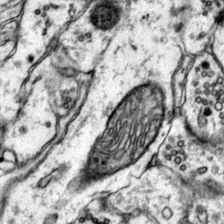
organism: Mouse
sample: Primary visual cortex